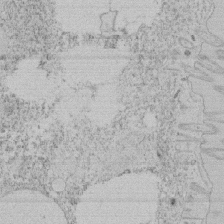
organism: Tetrahymena